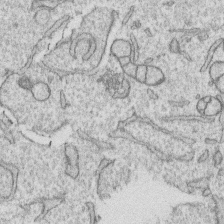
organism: Human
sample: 1205lu cells